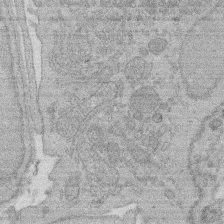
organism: Rat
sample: Salivary granule